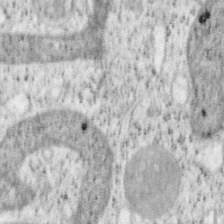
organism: Mouse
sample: OT-I killer T cells with ID8 ovarian cancer cells